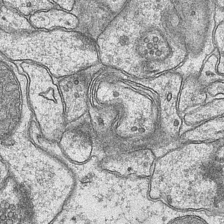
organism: Mouse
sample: CA1 Hippocampus